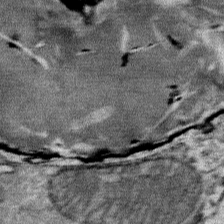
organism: Mouse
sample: Mouse Salivary gland